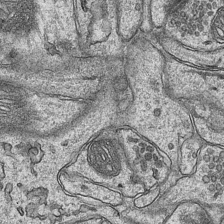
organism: Mouse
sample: CA1 Hippocampus